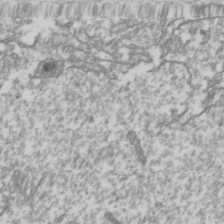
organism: Drosophila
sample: Cell division; meiosis; drosophila spermatocytes